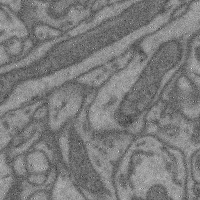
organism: Mouse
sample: Cerebral cortex